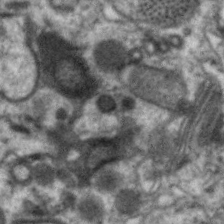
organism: C. elegans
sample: Pharynx